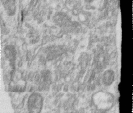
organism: Human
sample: Centriole in RPE cells